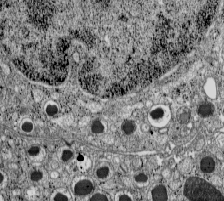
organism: C57BL Mouse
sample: Pancreatic islet